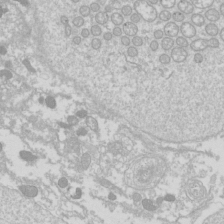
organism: Drosophila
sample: Cell division; meiosis; drosophila spermatocytes